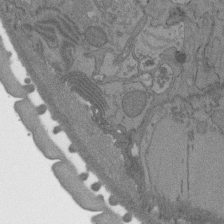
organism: C. elegans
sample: AFD neurons C. elegans